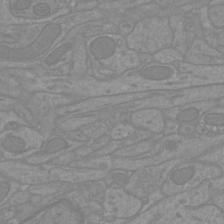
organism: Mouse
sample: Cortical neurons